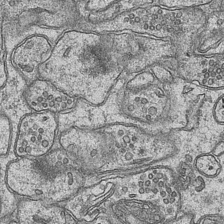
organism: Mouse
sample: CA1 Hippocampus